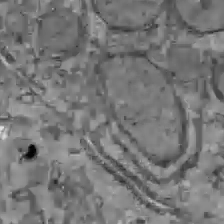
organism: C57BL Mouse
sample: Liver